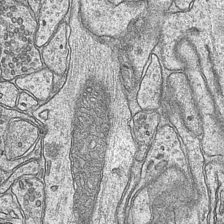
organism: Mouse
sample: CA1 Hippocampus